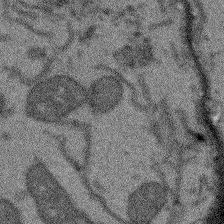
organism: Arabidopsis thaliana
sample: Root tip